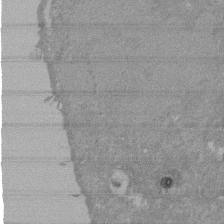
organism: Mouse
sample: ED-1 cell nuclei; centrioles